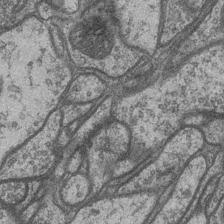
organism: Drosophila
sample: Optic medulla